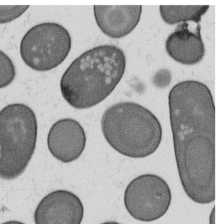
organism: B. subtilis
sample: Bacterial spore